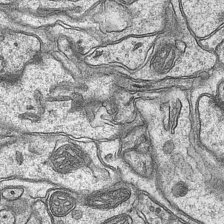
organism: Mouse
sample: CA1 Hippocampus